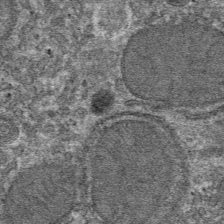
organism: Mouse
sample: Mouse hepatocytes